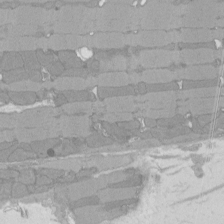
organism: Rat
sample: Left ventricle